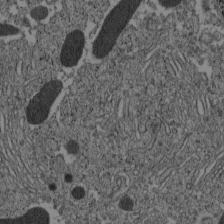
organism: C57BL Mouse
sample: Pancreatic islet